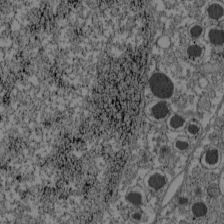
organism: C57BL Mouse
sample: Pancreatic islet